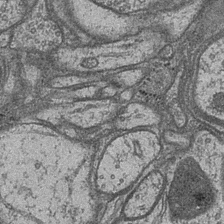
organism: Drosophila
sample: Optic medulla